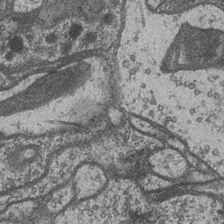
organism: Drosophila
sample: Optic medulla